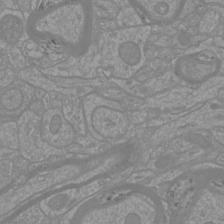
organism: Mouse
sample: Cortical neurons